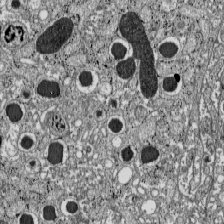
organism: C57BL Mouse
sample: Pancreatic islet